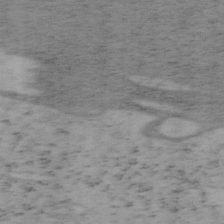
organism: Mouse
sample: OT-I killer T cells with ID8 ovarian cancer cells